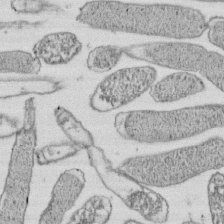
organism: E. coli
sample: Bacterial nucleoid